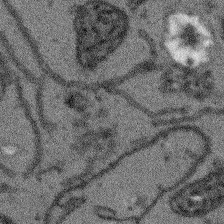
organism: Arabidopsis thaliana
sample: Root tip